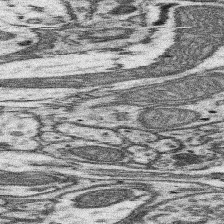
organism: Mouse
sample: Somatosensory cortex neuropil